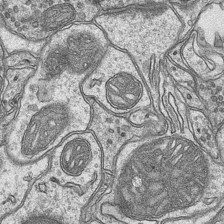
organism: Mouse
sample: CA1 Hippocampus